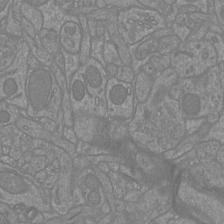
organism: Mouse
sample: Cortical neurons